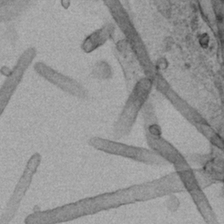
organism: Human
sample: Mitochondria in HCT116 cells